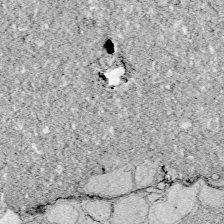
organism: Zebrafish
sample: Whole-Brain